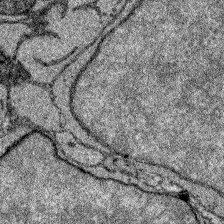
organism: Zebrafish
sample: Larval olfactory bulb